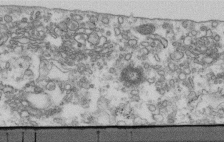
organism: Human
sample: Centriole in fibroblast cells